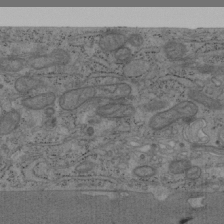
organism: Human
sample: HeLa cells